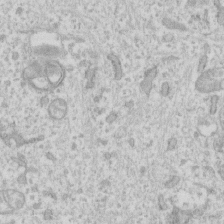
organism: Human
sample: Fibroblast cells